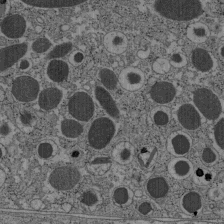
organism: C57BL Mouse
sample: Pancreatic islet